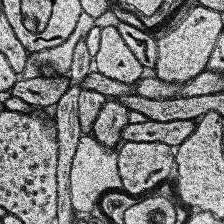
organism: Human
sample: Temporal Lobe